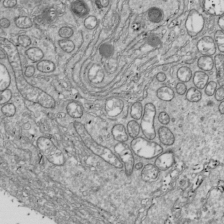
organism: Drosophila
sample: Cell division; meiosis; drosophila spermatocytes